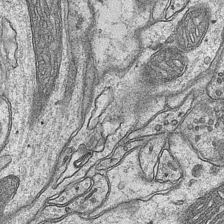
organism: Mouse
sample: CA1 Hippocampus